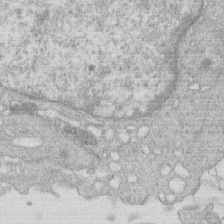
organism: Human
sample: Macrophage cells